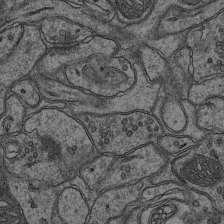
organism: Mouse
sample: CA1 Hippocampus